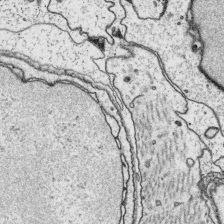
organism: Platynereis dumerilii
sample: Parapodia